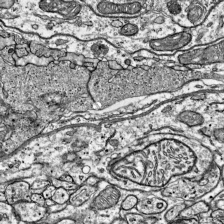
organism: Mouse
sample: Visual Cortex